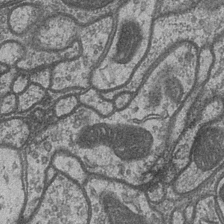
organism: Drosophila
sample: Optic medulla